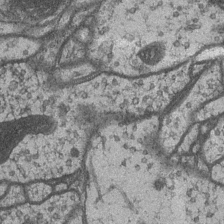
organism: Drosophila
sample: Optic medulla